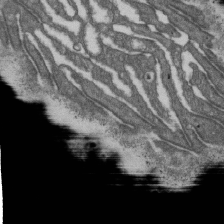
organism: Drosophila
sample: Nephrocyte